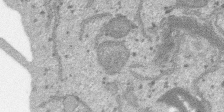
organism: Human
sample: Lung epithelial cells infected with SARS-CoV-2